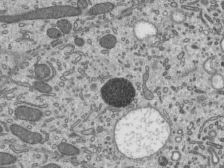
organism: Mouse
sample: Mouse epididymis efferent ductule cilia